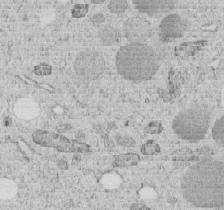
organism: C. elegans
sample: C. elegans embryo early stage